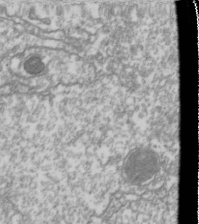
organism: Drosophila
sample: Cell division; meiosis; drosophila spermatocytes